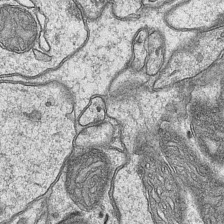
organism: Mouse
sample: CA1 Hippocampus